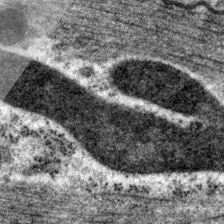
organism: P. pacificus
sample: Pharynx